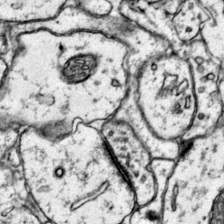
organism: Mouse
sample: Primary visual cortex